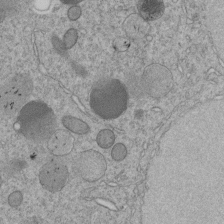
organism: C. elegans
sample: C. elegans embryo early stage